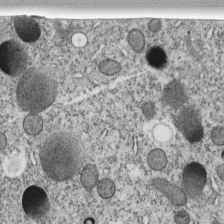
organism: C. elegans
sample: C. elegans embryo early stage